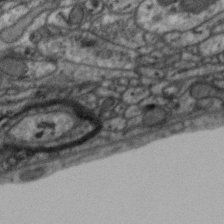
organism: Zebra finch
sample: Brain